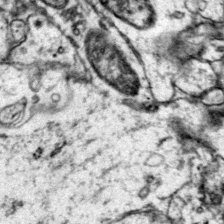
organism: Mouse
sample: Primary visual cortex